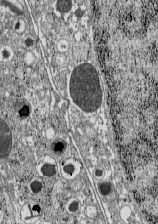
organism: C57BL Mouse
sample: Pancreatic islet